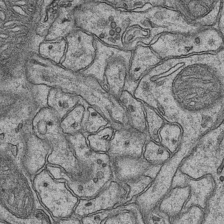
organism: Mouse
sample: CA1 Hippocampus